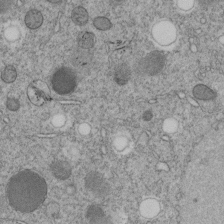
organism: C. elegans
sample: C. elegans embryo early stage